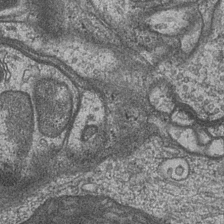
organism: Drosophila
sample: Optic medulla